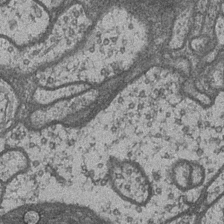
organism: Drosophila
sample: Optic medulla